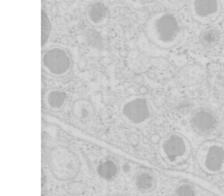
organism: Mouse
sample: Pancreas